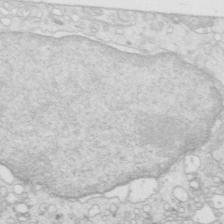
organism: Mouse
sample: Multiciliated cells